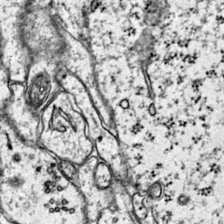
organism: Mouse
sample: Primary visual cortex